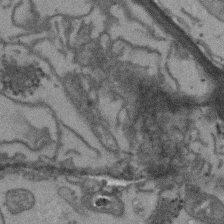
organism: Arabidopsis thaliana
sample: Root tip